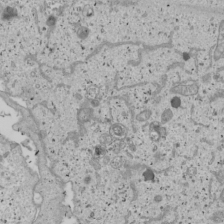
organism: Human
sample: Mitochondria in U2OS cells